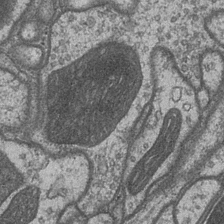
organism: Drosophila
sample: Optic medulla